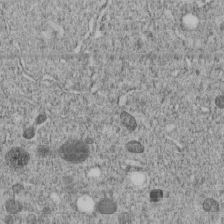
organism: C. elegans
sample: C. elegans embryo early stage